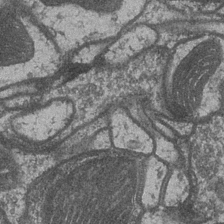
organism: Drosophila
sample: Optic medulla